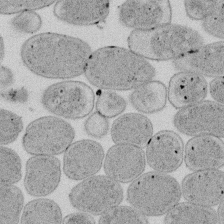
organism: E. coli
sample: Bacterial nucleoid